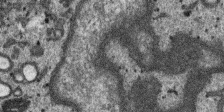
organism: Human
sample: Lung epithelial cells infected with SARS-CoV-2